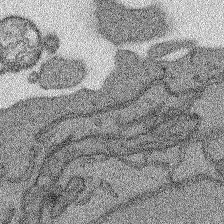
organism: Human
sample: HeLa cells